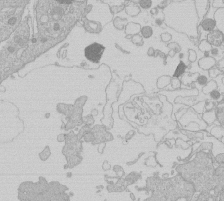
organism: Human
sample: Macrophage cells